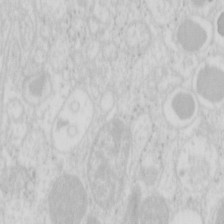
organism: Mouse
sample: Pancreas